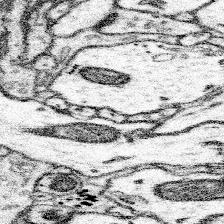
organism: Mouse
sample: Somatosensory cortex neuropil